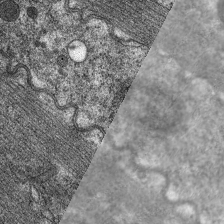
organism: C. elegans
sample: Pharynx